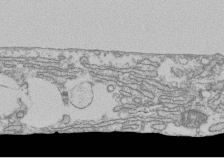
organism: Human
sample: Fibroblast cells